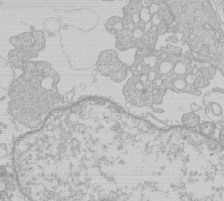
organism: Human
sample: Macrophage cells